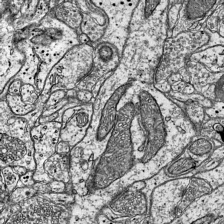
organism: Mouse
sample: Visual Cortex